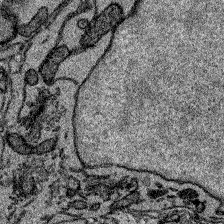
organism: Zebrafish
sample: Larval olfactory bulb